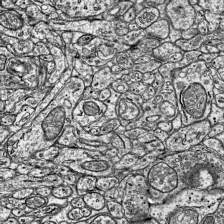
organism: Mouse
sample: Visual Cortex